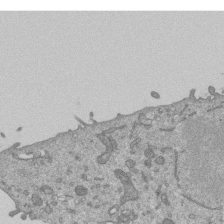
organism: Mouse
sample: ED-1 cell nuclei; centrioles